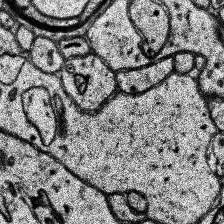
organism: Human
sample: Temporal Lobe